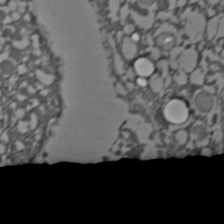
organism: C. elegans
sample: C. elegans embryo